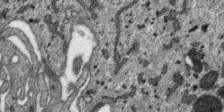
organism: Human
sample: Lung epithelial cells infected with SARS-CoV-2